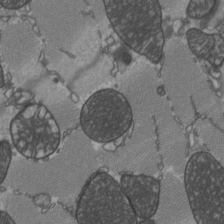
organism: C57BL Mouse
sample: Heart